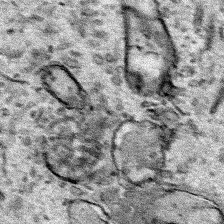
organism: Human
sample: Mitochondria in HCT116 cells